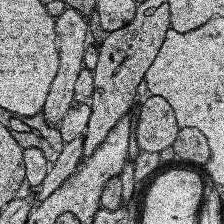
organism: Human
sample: Temporal Lobe